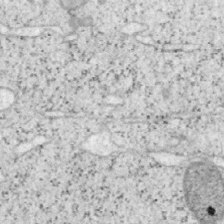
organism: Mouse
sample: OT-I killer T cells with ID8 ovarian cancer cells